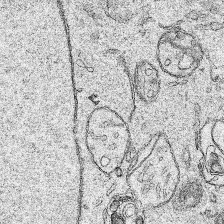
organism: Human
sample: Mitochondria in HCT116 cells